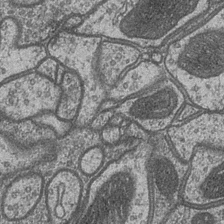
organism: Drosophila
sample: Optic medulla